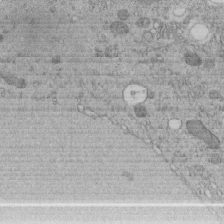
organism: C. elegans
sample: C. elegans embryo early stage